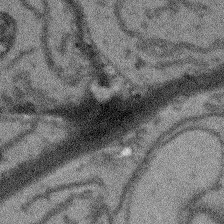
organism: Arabidopsis thaliana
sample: Root tip